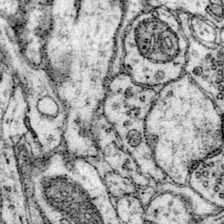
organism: Mouse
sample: Primary visual cortex